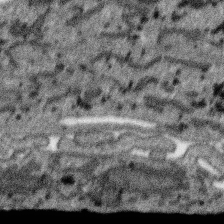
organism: Human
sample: Lung epithelial cells infected with SARS-CoV-2